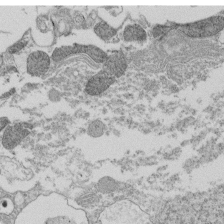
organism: Tetrahymena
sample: Cilia in tetrahymena